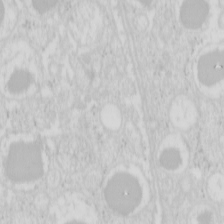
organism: Mouse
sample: Pancreas